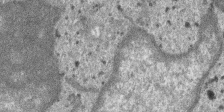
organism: Human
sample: Lung epithelial cells infected with SARS-CoV-2